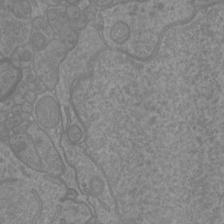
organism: Mouse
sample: Cortical neurons